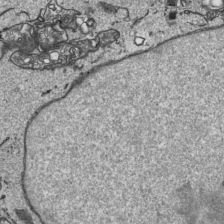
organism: Human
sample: Mitochondria in HCT116 cells